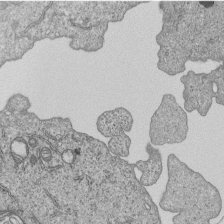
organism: Human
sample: MDA-MB-231 cells